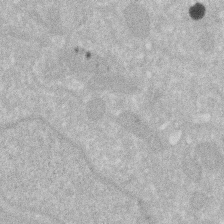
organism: Human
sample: HIV infected U937 cells